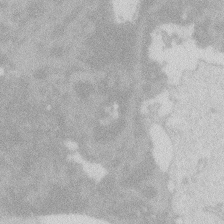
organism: Zebrafish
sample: Macrophage